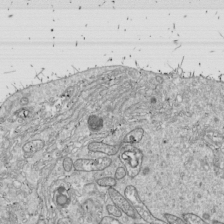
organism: Drosophila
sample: Cell division; meiosis; drosophila spermatocytes